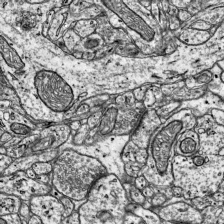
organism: Mouse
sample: Visual Cortex